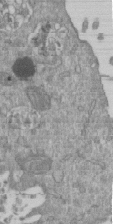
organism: Mouse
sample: ED-1 cell nuclei; centrioles